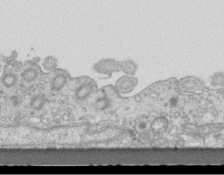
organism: Mouse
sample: Centriole in ependymal cells